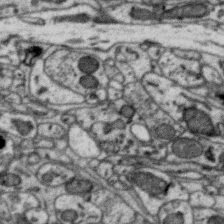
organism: Zebra finch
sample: Brain